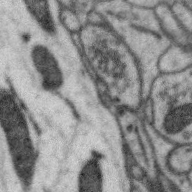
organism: Zebra finch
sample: Brain